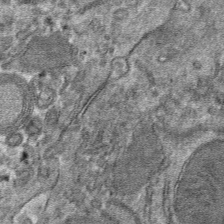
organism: Mouse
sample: Mouse hepatocytes